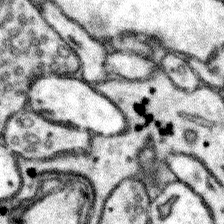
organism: Mouse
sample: Somatosensory cortex neuropil